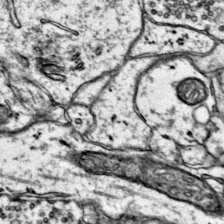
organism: Mouse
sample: Primary visual cortex